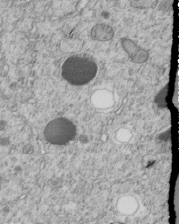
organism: C. elegans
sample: C. elegans embryo early stage